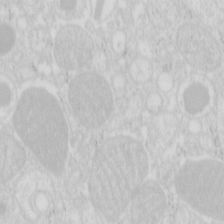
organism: Mouse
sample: Pancreas